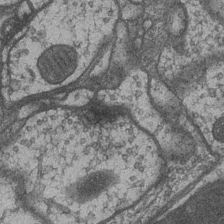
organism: Drosophila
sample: Optic medulla